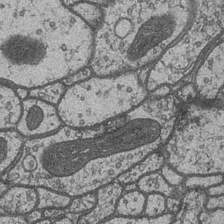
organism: Drosophila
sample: Optic medulla